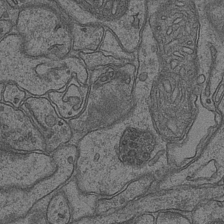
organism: Mouse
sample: CA1 Hippocampus